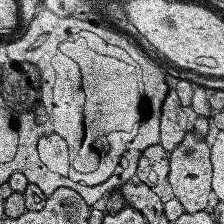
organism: Human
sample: Temporal Lobe